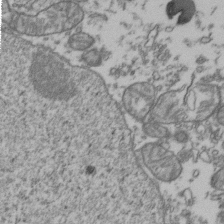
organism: Human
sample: Activated Jurkat CD4+ T cells